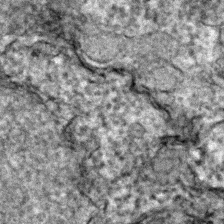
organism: Zebrafish